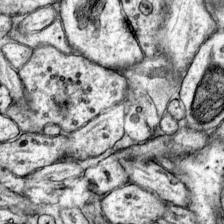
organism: Mouse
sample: Primary visual cortex